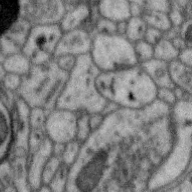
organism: Zebra finch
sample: Brain